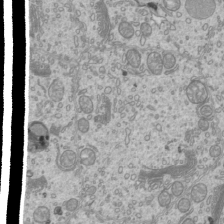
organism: Mouse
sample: Cilia; mouse epididymis